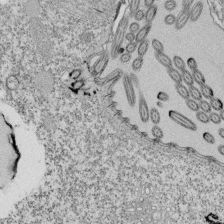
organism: Tetrahymena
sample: Cilia in tetrahymena